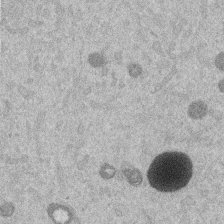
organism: Mouse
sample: Dividing mouse embryo 1 cell stage